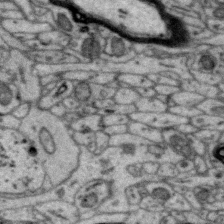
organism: Zebra finch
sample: Brain